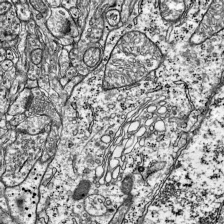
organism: Mouse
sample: Visual Cortex